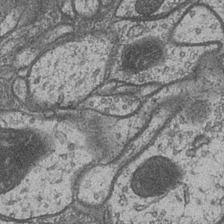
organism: Drosophila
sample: Optic medulla